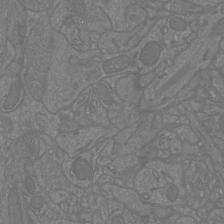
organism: Mouse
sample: Cortical neurons